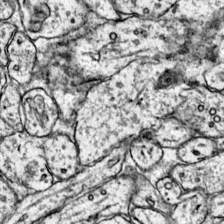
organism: Mouse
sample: Primary visual cortex